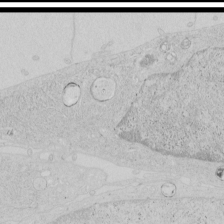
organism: Human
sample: Mitochondria in HCT116 cells